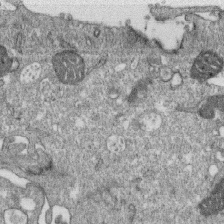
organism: African green monkey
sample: Vero E6 cells infected with SARS-CoV-2